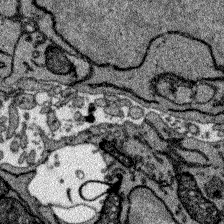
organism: Zebrafish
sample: Larval olfactory bulb